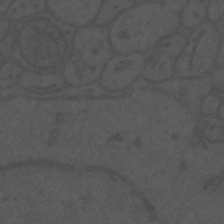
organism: Mouse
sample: Suprachiasmatic nucleus